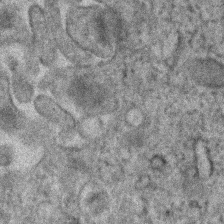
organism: Human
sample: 1205lu cells